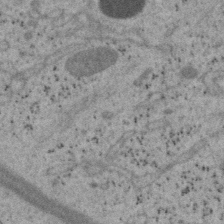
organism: Human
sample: HeLa cells